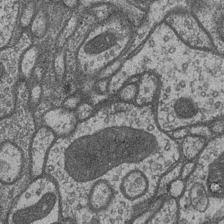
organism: Drosophila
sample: Optic medulla